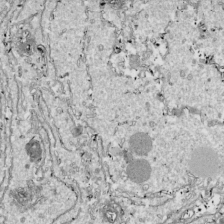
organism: Drosophila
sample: Cell division; meiosis; drosophila spermatocytes